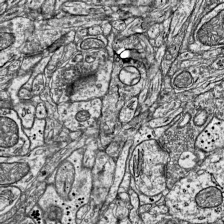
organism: Mouse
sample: Visual Cortex